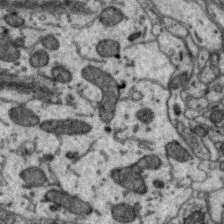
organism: Zebra finch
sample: Brain